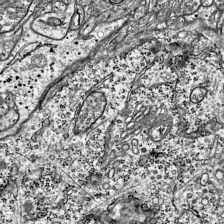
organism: Mouse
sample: Visual Cortex